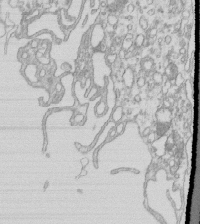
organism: Mouse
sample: Macrophages